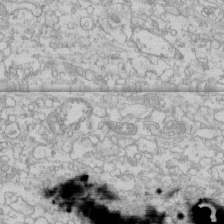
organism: Human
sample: CRL-1474